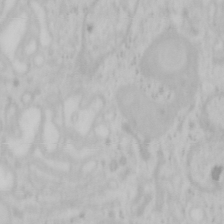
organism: Mouse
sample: OT-I killer T cells with ID8 ovarian cancer cells